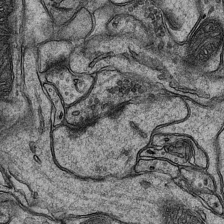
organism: Mouse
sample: CA1 Hippocampus